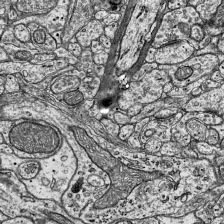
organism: Mouse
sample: Visual Cortex